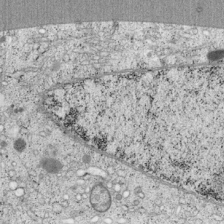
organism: African green monkey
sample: COS-7 cells